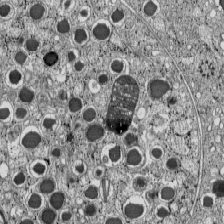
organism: C57BL Mouse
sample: Pancreatic islet